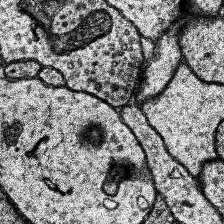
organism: Human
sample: Temporal Lobe